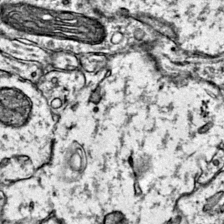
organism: Mouse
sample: Primary visual cortex